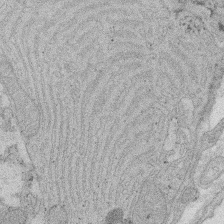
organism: Rat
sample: Salivary granule